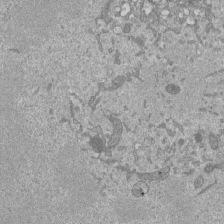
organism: Mouse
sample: ED-1 cell nuclei; centrioles